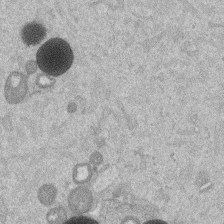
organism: Mouse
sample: Dividing mouse embryo 1 cell stage